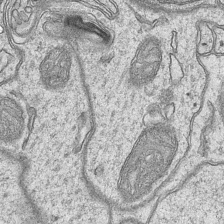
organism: Mouse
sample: CA1 Hippocampus